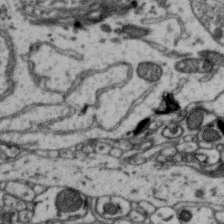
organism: Zebra finch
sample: Brain